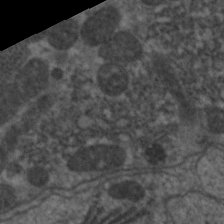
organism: C. elegans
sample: Pharynx